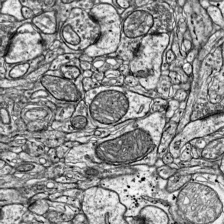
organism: Mouse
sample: Visual Cortex